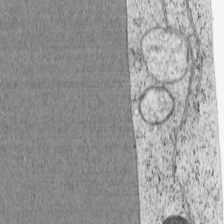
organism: African green monkey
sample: COS-7 cells